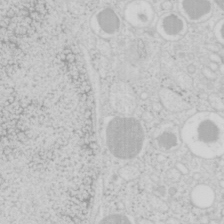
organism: Mouse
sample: Pancreas